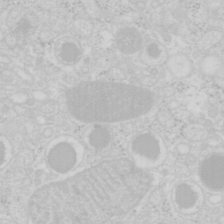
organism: Mouse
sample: Pancreas